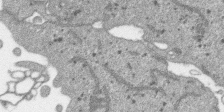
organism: Human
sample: Lung epithelial cells infected with SARS-CoV-2